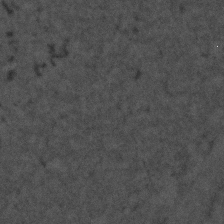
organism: C. elegans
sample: C. elegans embryo